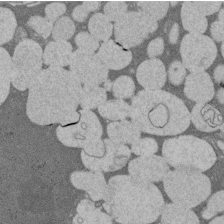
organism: Rat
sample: Salivary granule